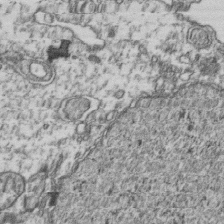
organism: Human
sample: Activated Jurkat CD4+ T cells